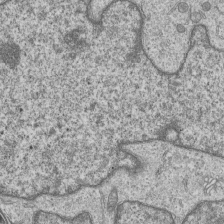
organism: Human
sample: MDA-MB-231 cells